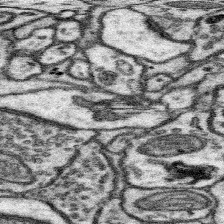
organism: Mouse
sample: Somatosensory cortex neuropil